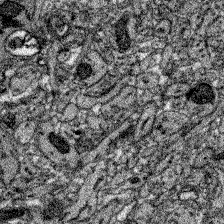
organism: Zebrafish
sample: Larval olfactory bulb